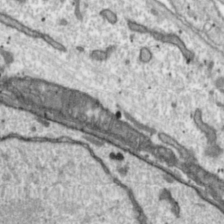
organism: Toxoplasma gondii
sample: Parasites in a vacuole inside a host cell